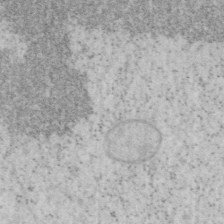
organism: Human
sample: HeLa cells